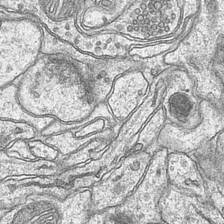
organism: Mouse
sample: CA1 Hippocampus